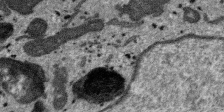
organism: Human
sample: Lung epithelial cells, uninfected (mock) control